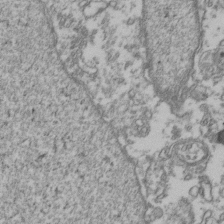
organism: Human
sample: Activated Jurkat CD4+ T cells